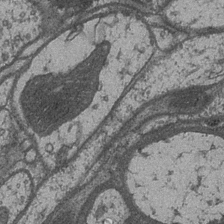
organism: Drosophila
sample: Optic medulla